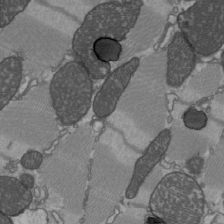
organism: C57BL Mouse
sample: Heart